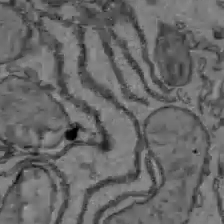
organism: C57BL Mouse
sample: Liver